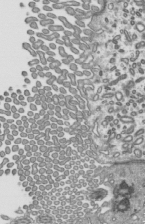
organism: Mouse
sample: Mouse epididymis efferent ductule cilia